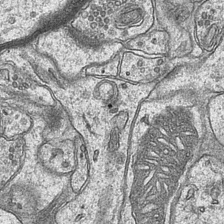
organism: Mouse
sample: CA1 Hippocampus